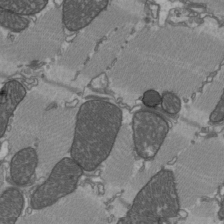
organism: C57BL Mouse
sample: Heart